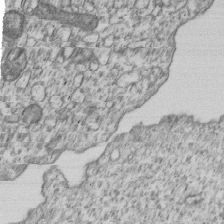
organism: Human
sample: MDA-MB-231 cells